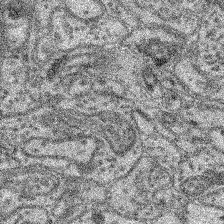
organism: Mouse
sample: Retina